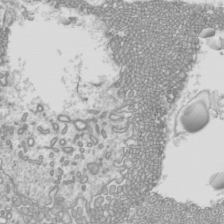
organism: Mouse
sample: Cilia; mouse epididymis